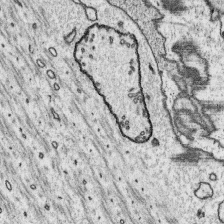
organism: Platynereis dumerilii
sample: Parapodia